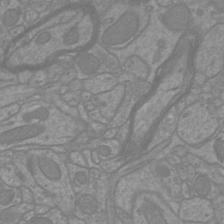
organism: Mouse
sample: Cortical neurons